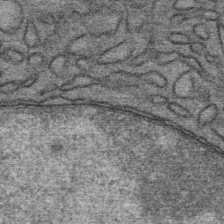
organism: Mouse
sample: Mouse Salivary gland